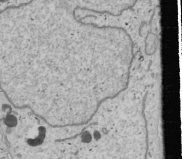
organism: Human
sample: Mitochondria in U2OS cells